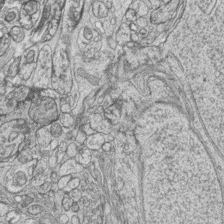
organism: Zebrafish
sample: synaptic ribbons in rod cells and cone cells